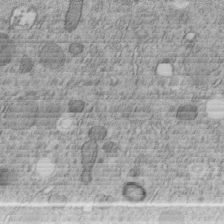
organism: C. elegans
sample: C. elegans embryo early stage